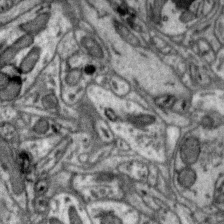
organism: Zebra finch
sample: Brain